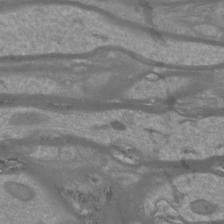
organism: Mouse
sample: Cortical neurons